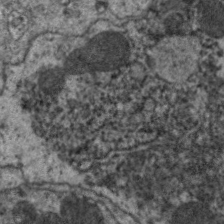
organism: C. elegans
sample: Pharynx